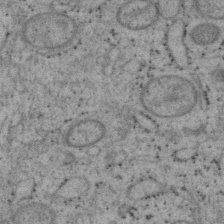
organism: Human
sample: HeLa cells